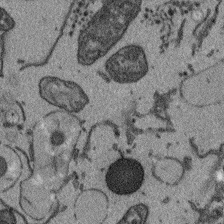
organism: Arabidopsis thaliana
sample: Root tip